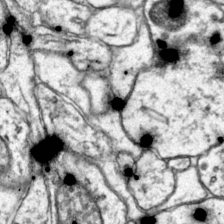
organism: Mouse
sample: Primary visual cortex